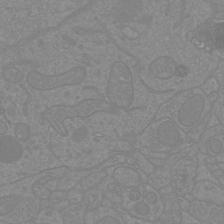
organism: Mouse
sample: Cortical neurons